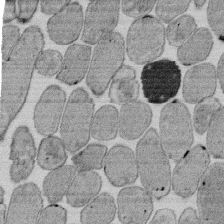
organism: E. coli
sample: Bacterial nucleoid